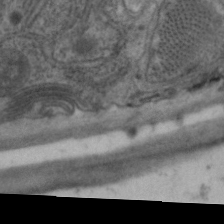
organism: C. elegans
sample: Pharynx